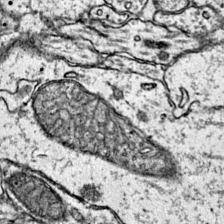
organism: Mouse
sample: Primary visual cortex